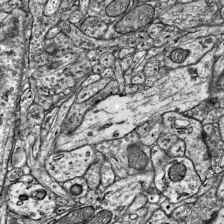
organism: Mouse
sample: Visual Cortex